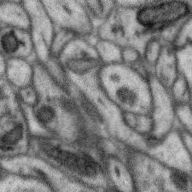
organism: Zebra finch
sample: Brain